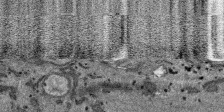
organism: Human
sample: Lung epithelial cells, uninfected (mock) control